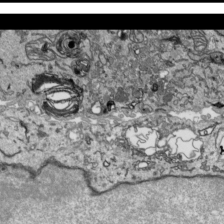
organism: Human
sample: Mitochondria in HCT116 cells